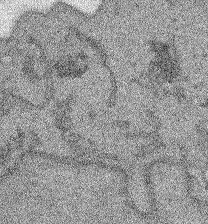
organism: Human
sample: HeLa cells